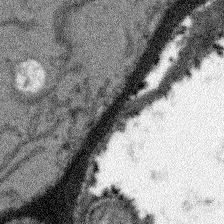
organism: Arabidopsis thaliana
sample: Root tip